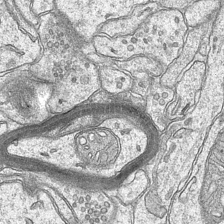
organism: Mouse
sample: CA1 Hippocampus